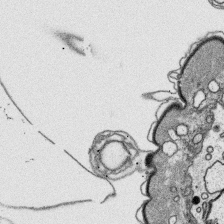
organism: Platynereis dumerilii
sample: Parapodia